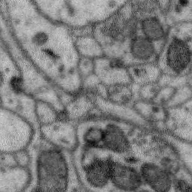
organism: Zebra finch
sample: Brain